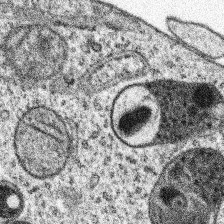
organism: Human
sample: HeLa cells